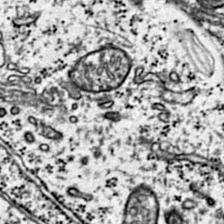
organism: Mouse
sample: Primary visual cortex